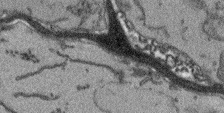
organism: Arabidopsis thaliana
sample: Root tip